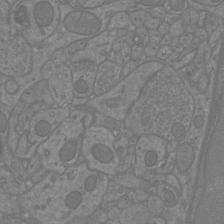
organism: Mouse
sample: Cortical neurons